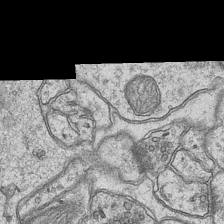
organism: Mouse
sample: CA1 Hippocampus